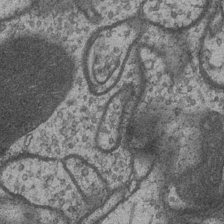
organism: Drosophila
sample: Optic medulla